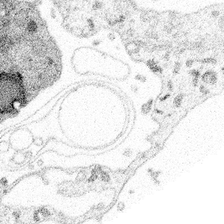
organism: Spongilla lacustris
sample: Multiple